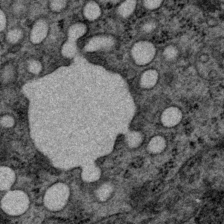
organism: P. pacificus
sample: Pharynx